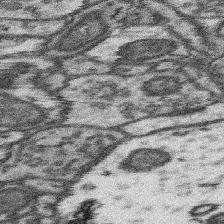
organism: Mouse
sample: Somatosensory cortex neuropil